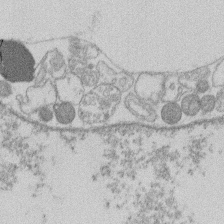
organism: Human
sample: Macrophage cells